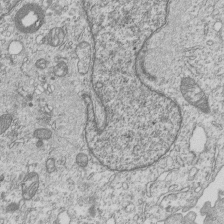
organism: Human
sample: MDA-MB-231 cells